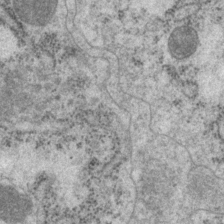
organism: P. pacificus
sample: Pharynx